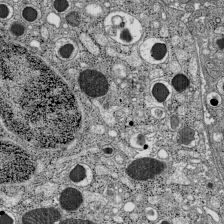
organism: C57BL Mouse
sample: Pancreatic islet